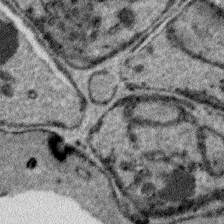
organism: Plasmodium falciparum